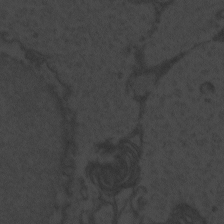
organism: Zebrafish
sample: Macrophage infected with Toxoplasma gondii